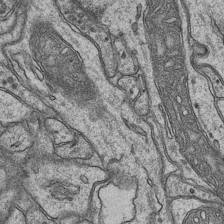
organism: Mouse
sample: CA1 Hippocampus